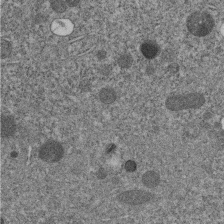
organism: C. elegans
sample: C. elegans embryo early stage